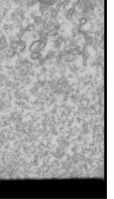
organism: Drosophila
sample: Cell division; meiosis; drosophila spermatocytes